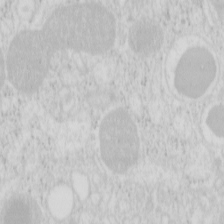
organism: Mouse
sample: Pancreas